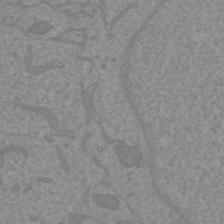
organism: Mouse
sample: Cortical neurons